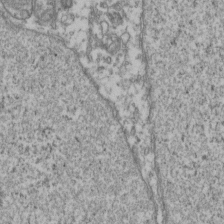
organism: Human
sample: Activated Jurkat CD4+ T cells